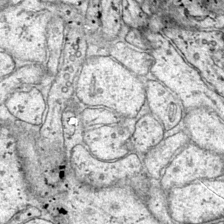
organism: Mouse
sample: Primary visual cortex